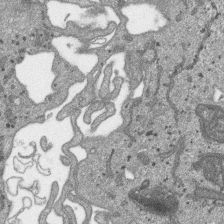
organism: Human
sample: Lung epithelial cells infected with SARS-CoV-2